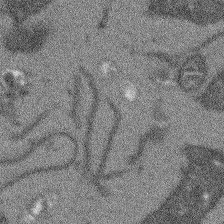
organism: Arabidopsis thaliana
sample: Root tip